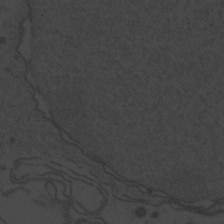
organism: Zebrafish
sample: Macrophage infected with Toxoplasma gondii